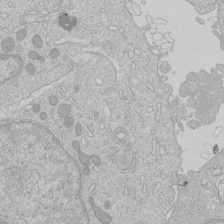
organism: Human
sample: Macrophage cells